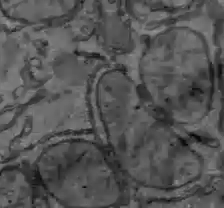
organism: C57BL Mouse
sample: Liver